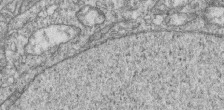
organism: Human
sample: HeLa cell HIV synapse